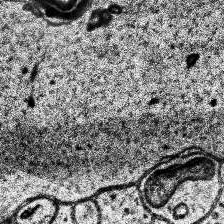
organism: Human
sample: Temporal Lobe